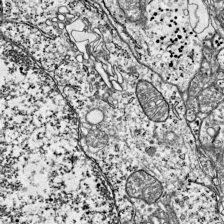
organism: Mouse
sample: Visual Cortex